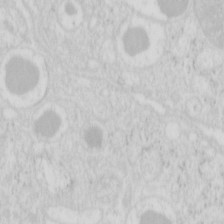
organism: Mouse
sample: Pancreas